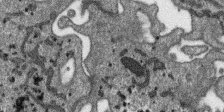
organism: Human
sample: Lung epithelial cells infected with SARS-CoV-2